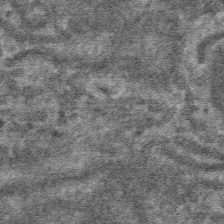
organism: Mouse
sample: Mouse hepatocytes